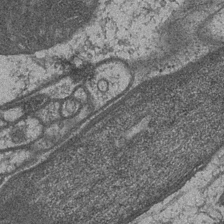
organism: Drosophila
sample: Optic medulla